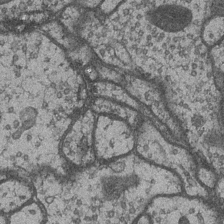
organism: Drosophila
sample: Optic medulla